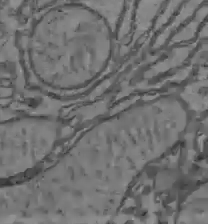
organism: C57BL Mouse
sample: Liver